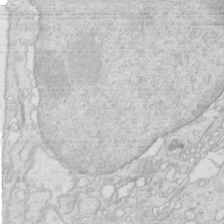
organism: Mouse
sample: Multiciliated cells